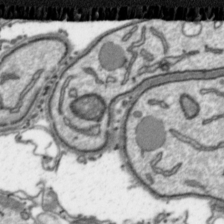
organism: Toxoplasma gondii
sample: Parasites in a vacuole inside a host cell